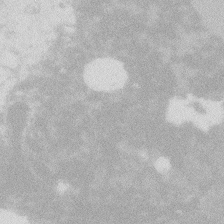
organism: Zebrafish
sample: Macrophage